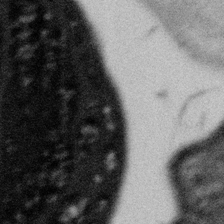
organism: Gemmata obscuriglobus